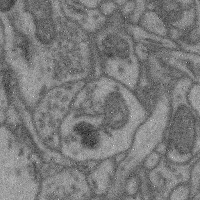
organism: Mouse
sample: Cerebral cortex